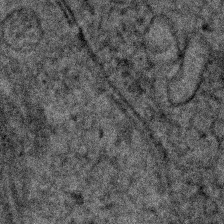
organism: Human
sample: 1205lu cells